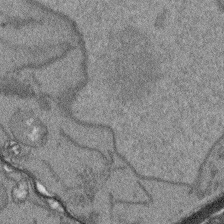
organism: Arabidopsis thaliana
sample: Root tip